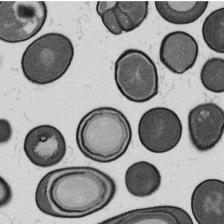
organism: B. subtilis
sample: Bacterial spore